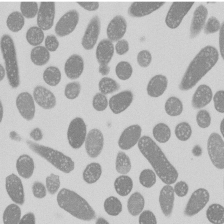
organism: E. coli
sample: Bacterial nucleoid